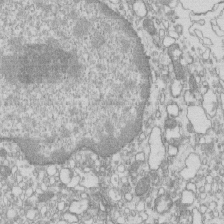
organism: Mouse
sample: Macrophages